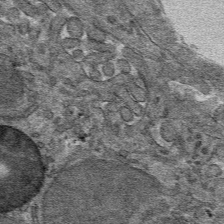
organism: Mouse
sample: Mouse hepatocytes